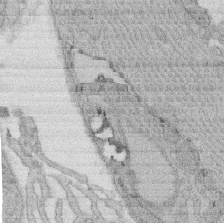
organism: Rat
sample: Salivary granule